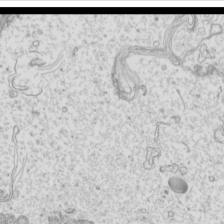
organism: Mouse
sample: Cilia; mouse epididymis